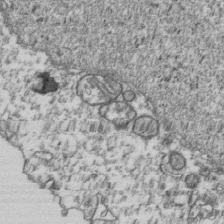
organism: Human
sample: Activated Jurkat CD4+ T cells